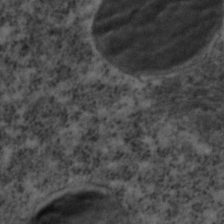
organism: C. elegans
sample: C. elegans embryo